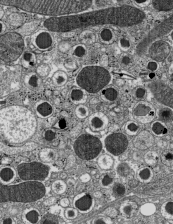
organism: C57BL Mouse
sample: Pancreatic islet